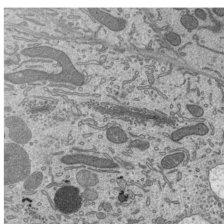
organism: Mouse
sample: Mouse epididymis efferent ductule cilia